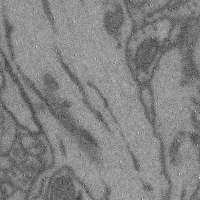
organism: Mouse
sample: Cerebral cortex